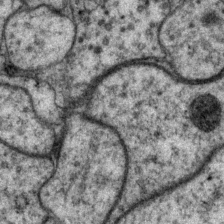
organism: P. pacificus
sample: Pharynx